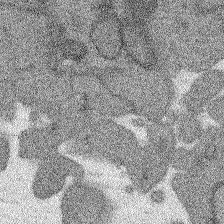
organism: Human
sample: HeLa cells